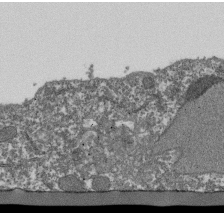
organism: Dictyostelium discoideum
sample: Dictyostelium multivesicular bodies